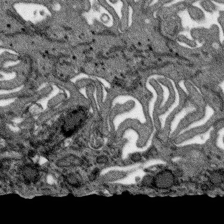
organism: Human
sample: Lung epithelial cells, uninfected (mock) control